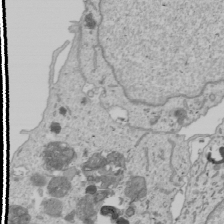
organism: Human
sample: Mitochondria in U2OS cells